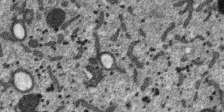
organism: Human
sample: Lung epithelial cells infected with SARS-CoV-2